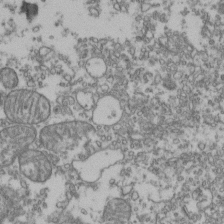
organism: Human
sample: Activated Jurkat CD4+ T cells